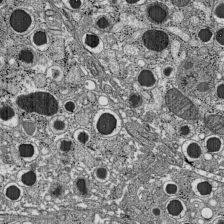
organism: C57BL Mouse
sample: Pancreatic islet